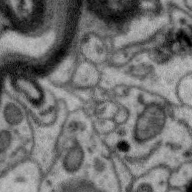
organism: Zebra finch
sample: Brain